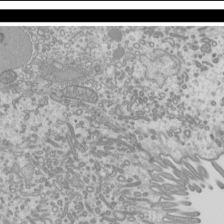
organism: Mouse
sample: Cilia; mouse epididymis